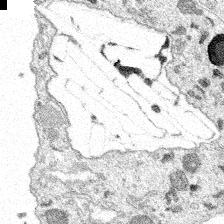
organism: Spongilla lacustris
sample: Multiple